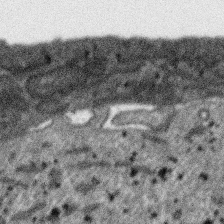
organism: Human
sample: Lung epithelial cells infected with SARS-CoV-2